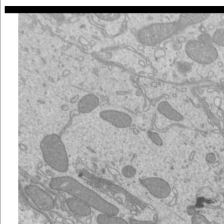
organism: Mouse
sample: Cilia; mouse epididymis